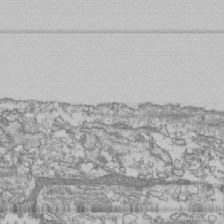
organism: Human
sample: Fibroblast cells